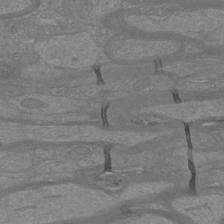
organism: Mouse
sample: Cortical neurons